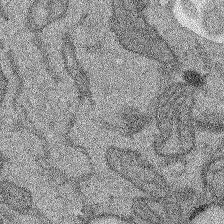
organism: Human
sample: HeLa cells